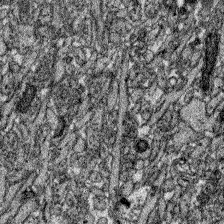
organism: Zebrafish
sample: Larval olfactory bulb